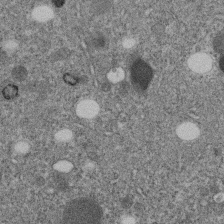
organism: C. elegans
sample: C. elegans embryo early stage